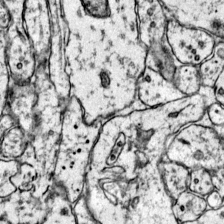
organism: Mouse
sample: Primary visual cortex